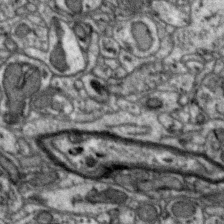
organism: Zebra finch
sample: Brain